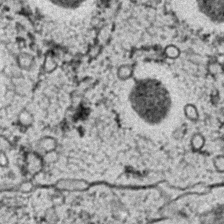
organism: C. elegans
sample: C. elegans embryo